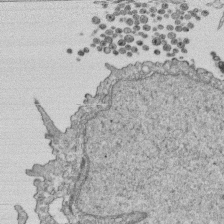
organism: Human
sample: HeLa cell HIV synapse